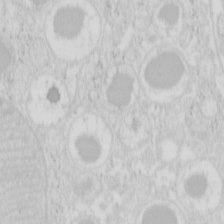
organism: Mouse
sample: Pancreas